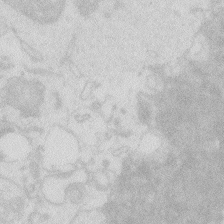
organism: Zebrafish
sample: Macrophage